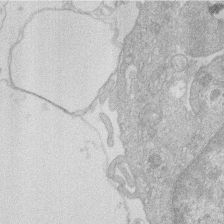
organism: Human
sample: Macrophage cells